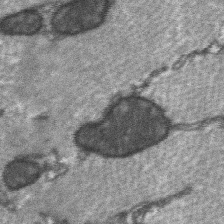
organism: C57BL Mouse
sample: Soleus